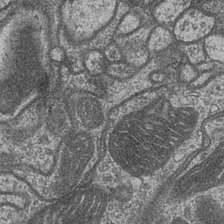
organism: Drosophila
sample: Optic medulla